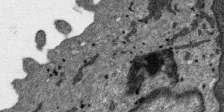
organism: Human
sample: Lung epithelial cells, uninfected (mock) control